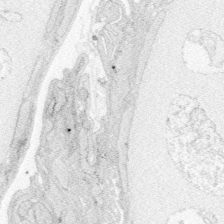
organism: Zebrafish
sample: Whole-Brain